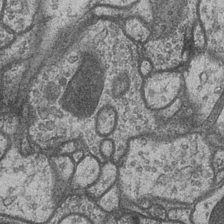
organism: Drosophila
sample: Optic medulla